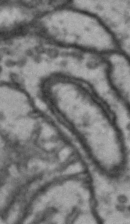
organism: Drosophila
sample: Brain